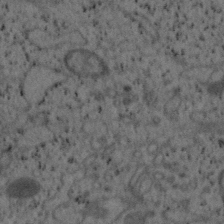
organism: Human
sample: HeLa cells